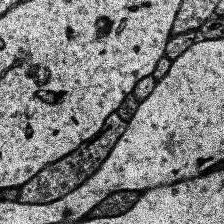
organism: Human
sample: Temporal Lobe